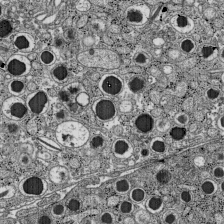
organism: C57BL Mouse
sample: Pancreatic islet